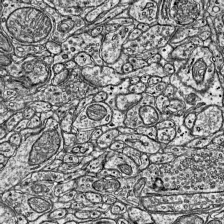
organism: Mouse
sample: Visual Cortex